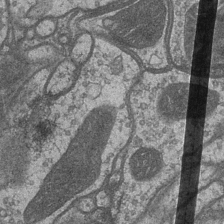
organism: Drosophila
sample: Optic medulla